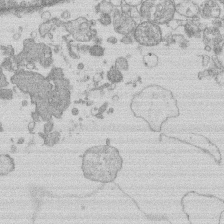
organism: Human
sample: Macrophage cells